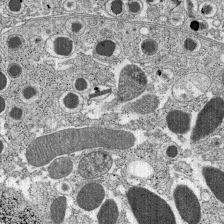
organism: C57BL Mouse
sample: Pancreatic islet